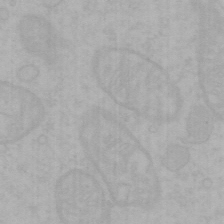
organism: Mouse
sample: Choroid plexus